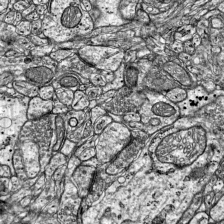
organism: Mouse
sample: Visual Cortex